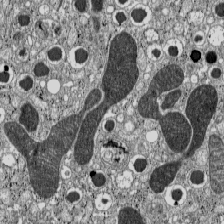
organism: C57BL Mouse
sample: Pancreatic islet